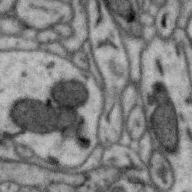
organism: Zebra finch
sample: Brain